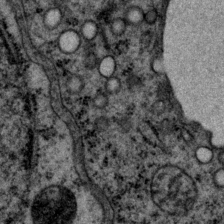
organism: P. pacificus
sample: Pharynx